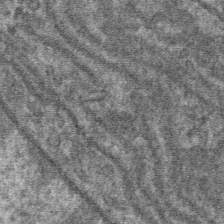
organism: Mouse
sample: Mouse hepatocytes